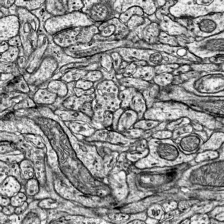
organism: Mouse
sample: Visual Cortex